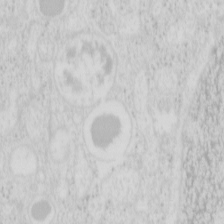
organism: Mouse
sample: Pancreas